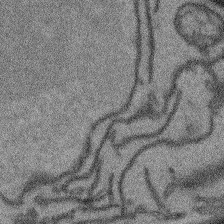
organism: Arabidopsis thaliana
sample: Root tip